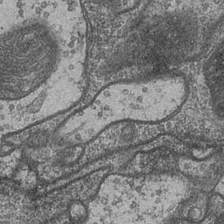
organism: Drosophila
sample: Optic medulla